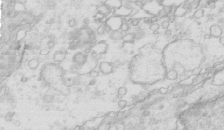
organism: Mouse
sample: Multiciliated cells